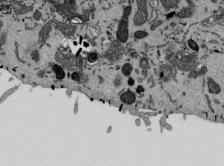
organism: Mouse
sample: ED-1 cell nuclei; centrioles